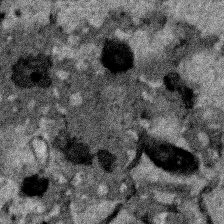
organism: Human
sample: Mitochondria in HCT116 cells